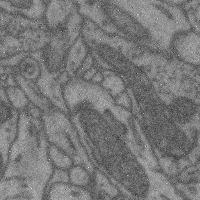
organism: Mouse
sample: Cerebral cortex